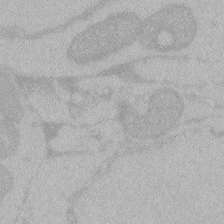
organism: Zebrafish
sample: Macrophage infected with Toxoplasma gondii